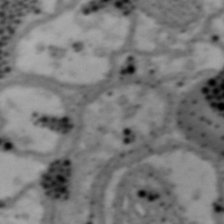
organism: Drosophila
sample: Brain